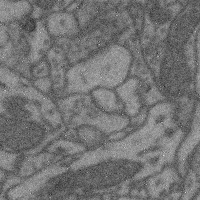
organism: Mouse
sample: Cerebral cortex